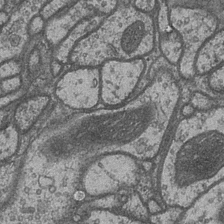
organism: Drosophila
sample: Optic medulla